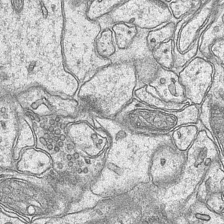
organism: Mouse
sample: CA1 Hippocampus